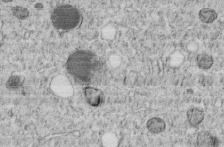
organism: C. elegans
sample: C. elegans embryo early stage